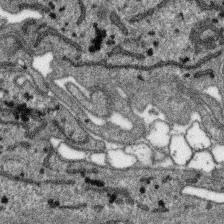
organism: Human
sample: Lung epithelial cells infected with SARS-CoV-2